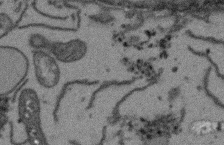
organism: Arabidopsis thaliana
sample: Root tip